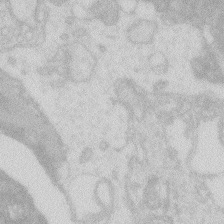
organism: Zebrafish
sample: Macrophage